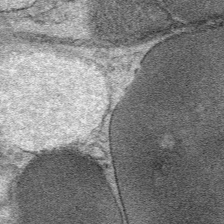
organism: Mouse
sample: Mouse Salivary gland